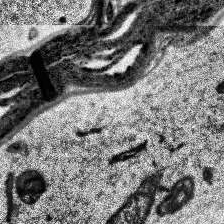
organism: Human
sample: Temporal Lobe